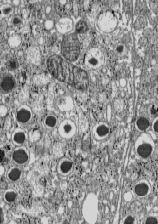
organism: C57BL Mouse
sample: Pancreatic islet